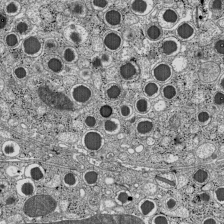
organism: C57BL Mouse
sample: Pancreatic islet